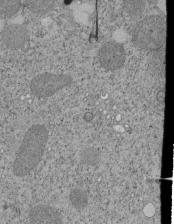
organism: Tetrahymena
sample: Cilia in tetrahymena